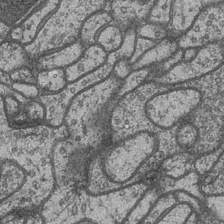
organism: Drosophila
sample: Optic medulla